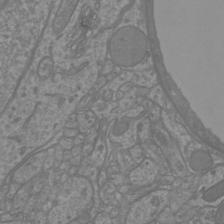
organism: Mouse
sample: Cortical neurons